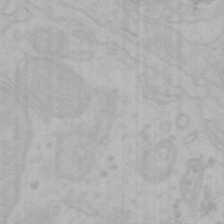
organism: Mouse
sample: Choroid plexus